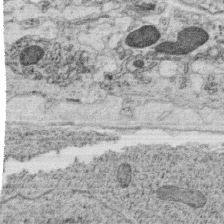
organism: C. elegans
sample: C. elegans oocyte; sperm cells